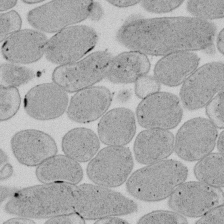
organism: E. coli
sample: Bacterial nucleoid